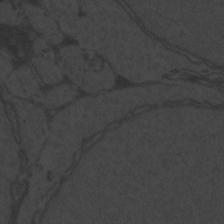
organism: Zebrafish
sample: Macrophage infected with Toxoplasma gondii